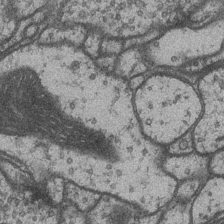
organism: Drosophila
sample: Optic medulla